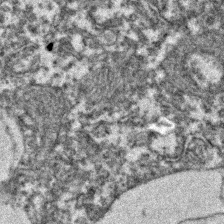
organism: Zebrafish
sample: Zebrafish embryo